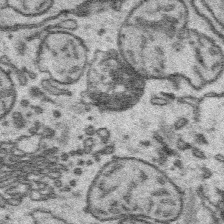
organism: Platynereis dumerilii